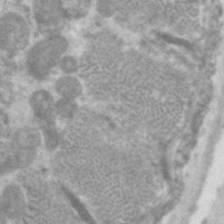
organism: C. elegans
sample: Pharynx